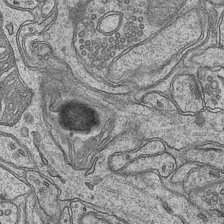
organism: Mouse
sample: CA1 Hippocampus